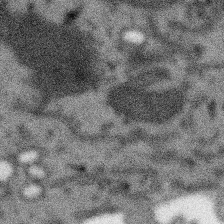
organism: Human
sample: Lung epithelial cells infected with SARS-CoV-2